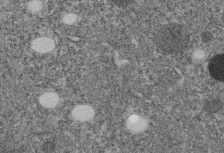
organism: C. elegans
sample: C. elegans embryo early stage